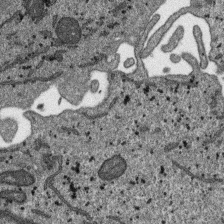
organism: Human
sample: Lung epithelial cells infected with SARS-CoV-2